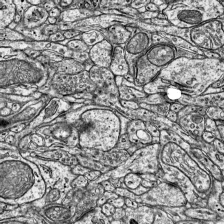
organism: Mouse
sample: Visual Cortex